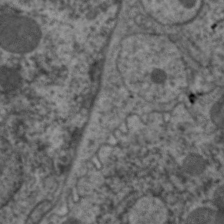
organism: C. elegans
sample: Pharynx